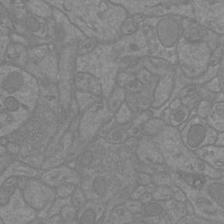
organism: Mouse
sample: Cortical neurons